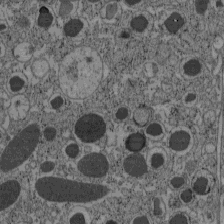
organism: C57BL Mouse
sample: Pancreatic islet